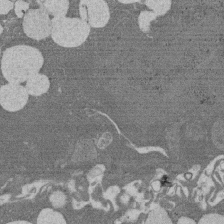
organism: Rat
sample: Salivary granule